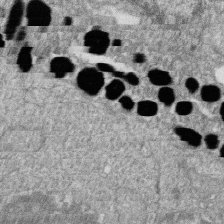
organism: Zebrafish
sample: Cilia; retinal pigment epithelium